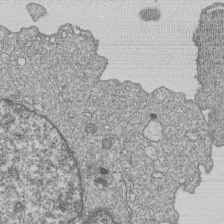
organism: Human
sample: MDA-MB-231 cells